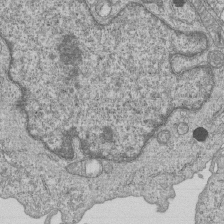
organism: Human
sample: MDA-MB-231 cells